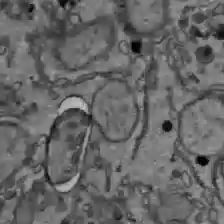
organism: C57BL Mouse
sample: Liver